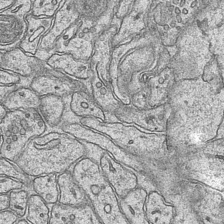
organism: Mouse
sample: CA1 Hippocampus